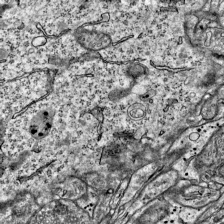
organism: Mouse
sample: Visual Cortex